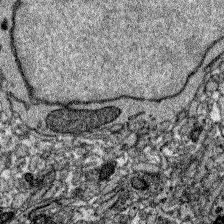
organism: Zebrafish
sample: Larval olfactory bulb